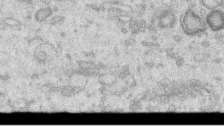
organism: Human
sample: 1205lu cells